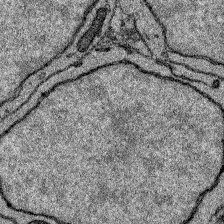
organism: Zebrafish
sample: Larval olfactory bulb